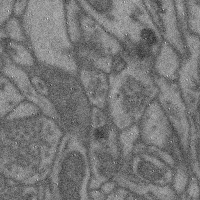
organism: Mouse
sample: Cerebral cortex